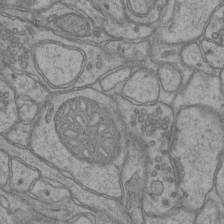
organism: Mouse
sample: CA1 Hippocampus